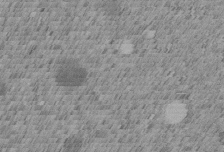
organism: C. elegans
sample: C. elegans embryo early stage